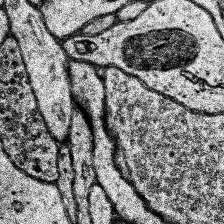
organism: Human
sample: Temporal Lobe